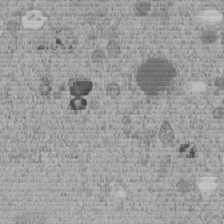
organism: C. elegans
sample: C. elegans embryo early stage